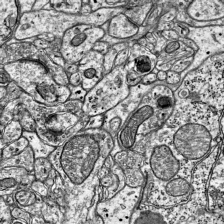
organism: Mouse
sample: Visual Cortex